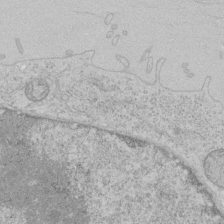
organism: Human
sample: Mitochondria in HCT116 cells